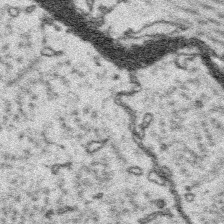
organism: Platynereis dumerilii